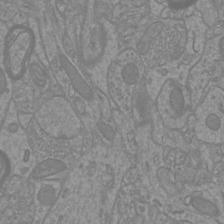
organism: Mouse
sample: Cortical neurons